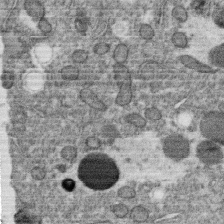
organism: C. elegans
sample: C. elegans oocyte; sperm cells